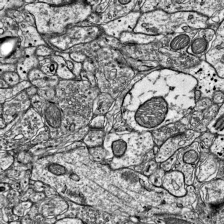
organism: Mouse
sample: Visual Cortex